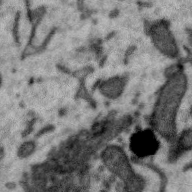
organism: Zebra finch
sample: Brain